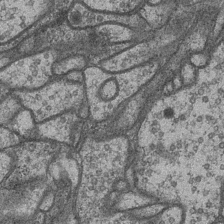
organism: Drosophila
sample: Optic medulla